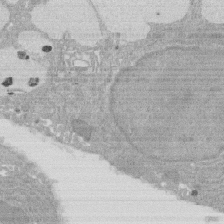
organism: Rat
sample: Salivary granule